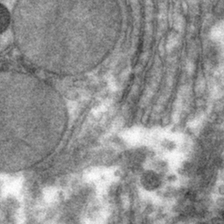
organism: Mouse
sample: Mouse hepatocytes